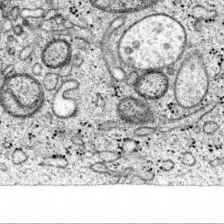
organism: Human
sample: HeLa cells